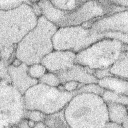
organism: Rabbit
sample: Retina